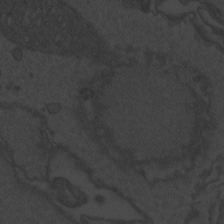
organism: Zebrafish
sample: Macrophage infected with Toxoplasma gondii